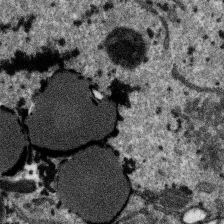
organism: Human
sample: Lung epithelial cells infected with SARS-CoV-2